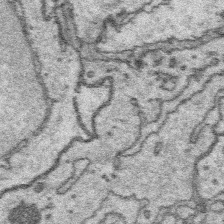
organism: Platynereis dumerilii